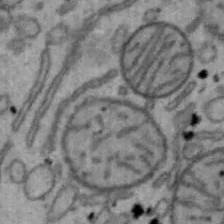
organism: Mouse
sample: Liver